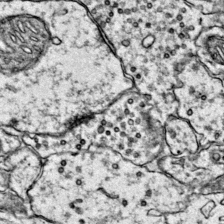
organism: Mouse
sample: Primary visual cortex